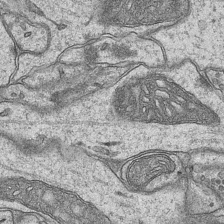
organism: Mouse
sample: CA1 Hippocampus